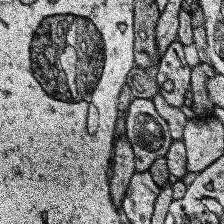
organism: Human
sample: Temporal Lobe